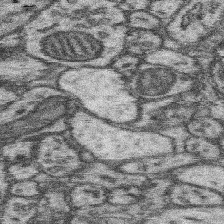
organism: Mouse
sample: Somatosensory cortex neuropil